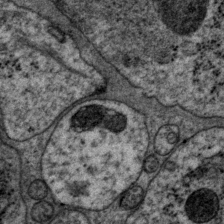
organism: P. pacificus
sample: Pharynx